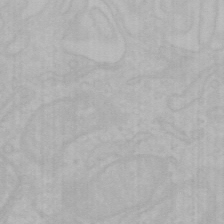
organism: Mouse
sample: Choroid plexus